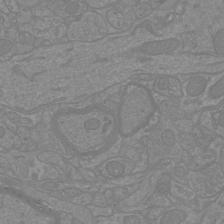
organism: Mouse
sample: Cortical neurons